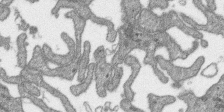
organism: Human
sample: Lung epithelial cells infected with SARS-CoV-2